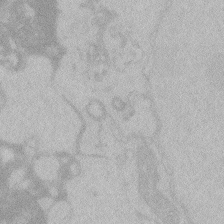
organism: Zebrafish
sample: Macrophage infected with Toxoplasma gondii